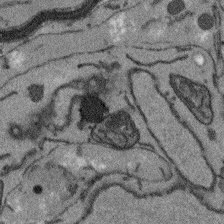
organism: Arabidopsis thaliana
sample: Root tip